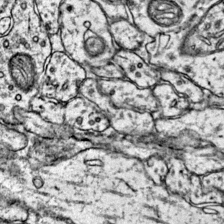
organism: Mouse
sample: Primary visual cortex